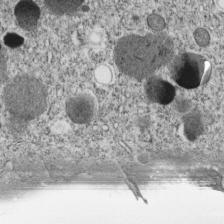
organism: C. elegans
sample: C. elegans embryo early stage